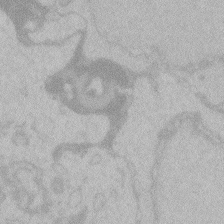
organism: Zebrafish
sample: Macrophage infected with Toxoplasma gondii